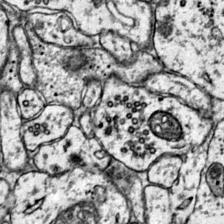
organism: Mouse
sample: Primary visual cortex